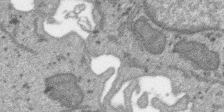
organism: Human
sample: Lung epithelial cells infected with SARS-CoV-2